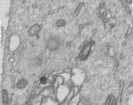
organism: Human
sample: Centriole in RPE cells